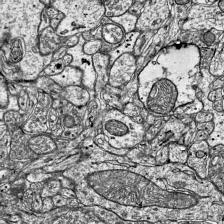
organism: Mouse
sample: Visual Cortex